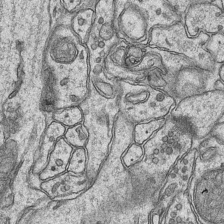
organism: Mouse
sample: CA1 Hippocampus